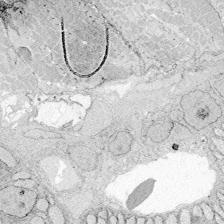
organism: Zebrafish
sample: Whole-Brain